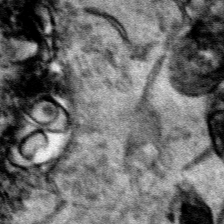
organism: Human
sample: Mitochondria in HCT116 cells